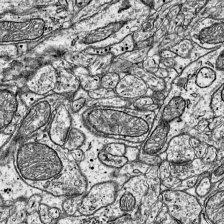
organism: Mouse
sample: Visual Cortex